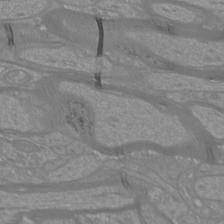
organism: Mouse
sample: Cortical neurons